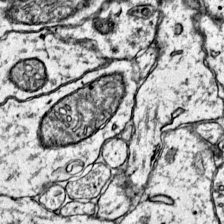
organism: Mouse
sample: Primary visual cortex